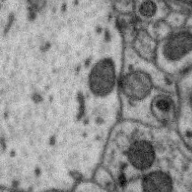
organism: Zebra finch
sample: Brain